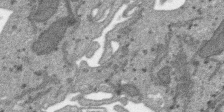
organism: Human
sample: Lung epithelial cells infected with SARS-CoV-2